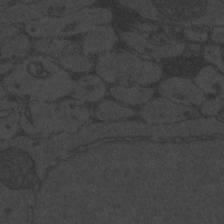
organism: Zebrafish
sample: Macrophage infected with Toxoplasma gondii